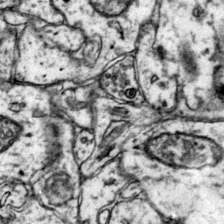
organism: Mouse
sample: Primary visual cortex